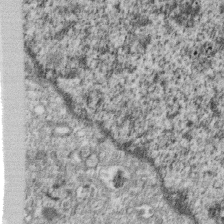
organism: African green monkey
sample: Vero E6 cells infected with SARS-CoV-2